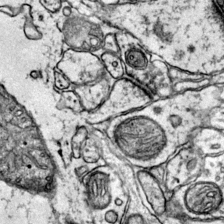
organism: Mouse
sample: Primary visual cortex